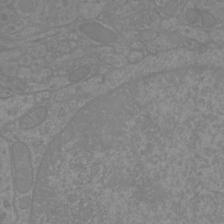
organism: Mouse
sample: Cortical neurons